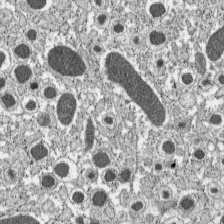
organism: C57BL Mouse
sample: Pancreatic islet